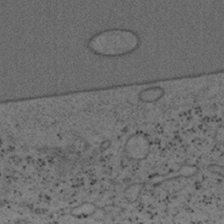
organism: Human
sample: HeLa cells